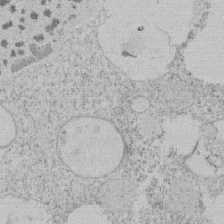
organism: Tetrahymena